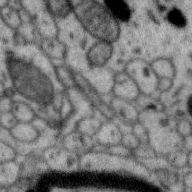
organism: Zebra finch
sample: Brain